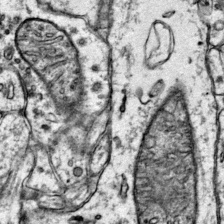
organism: Mouse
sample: Primary visual cortex